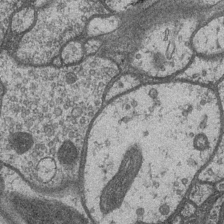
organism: Drosophila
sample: Optic medulla